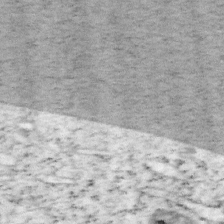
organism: Mouse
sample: OT-I killer T cells with ID8 ovarian cancer cells